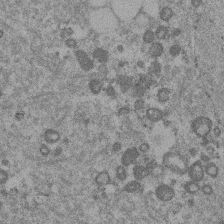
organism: Mouse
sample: Dividing mouse embryo 1 cell stage